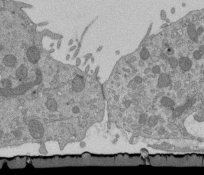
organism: Mouse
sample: ED-1 cell nuclei; centrioles